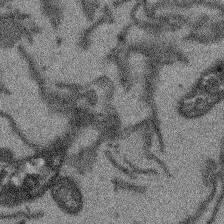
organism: Arabidopsis thaliana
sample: Root tip